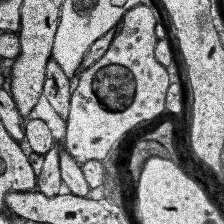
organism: Human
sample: Temporal Lobe